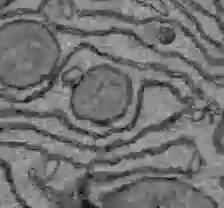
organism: C57BL Mouse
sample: Liver